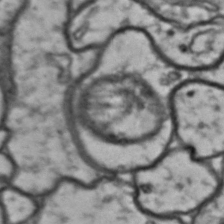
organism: Drosophila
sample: Brain